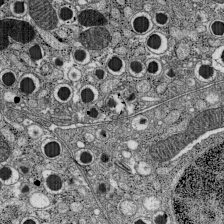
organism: C57BL Mouse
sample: Pancreatic islet